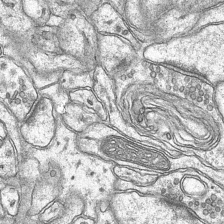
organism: Mouse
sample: CA1 Hippocampus